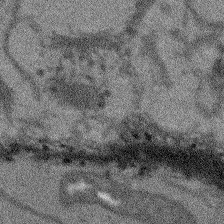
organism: Arabidopsis thaliana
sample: Root tip